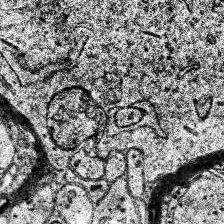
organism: Human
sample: Temporal Lobe